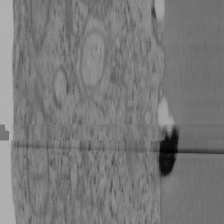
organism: Human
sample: HeLa cells